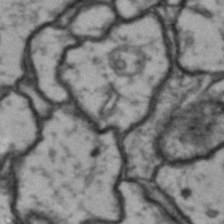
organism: Drosophila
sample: Brain